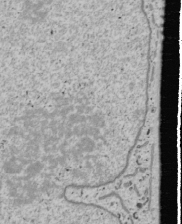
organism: Human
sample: Mitochondria in U2OS cells